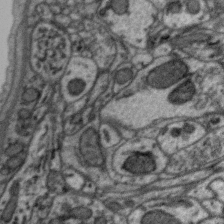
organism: Zebra finch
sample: Brain